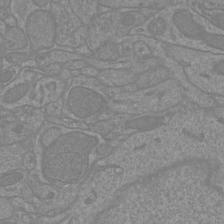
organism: Mouse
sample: Cortical neurons